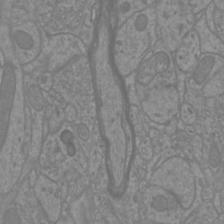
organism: Mouse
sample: Cortical neurons